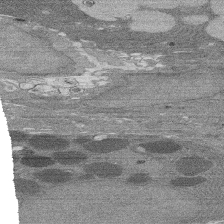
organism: Rat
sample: Salivary granule